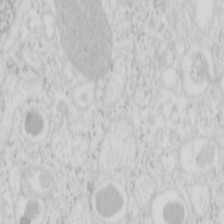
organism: Mouse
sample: Pancreas